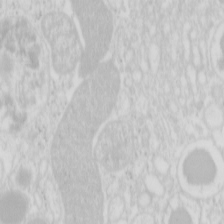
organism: Mouse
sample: Pancreas